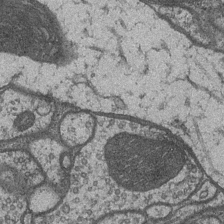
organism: Drosophila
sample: Optic medulla